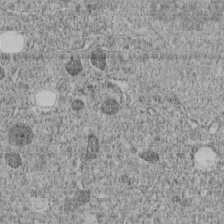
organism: C. elegans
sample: C. elegans embryo early stage